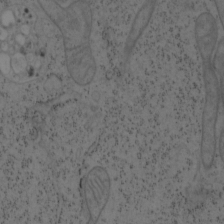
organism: Mouse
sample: OT-I killer T cells with ID8 ovarian cancer cells